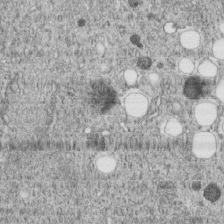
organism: C. elegans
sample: C. elegans embryo early stage